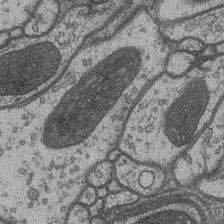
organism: Drosophila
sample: Optic medulla